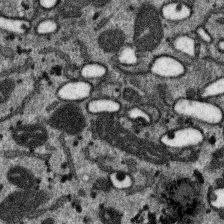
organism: Human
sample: Lung epithelial cells infected with SARS-CoV-2